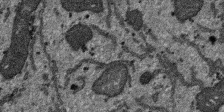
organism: Human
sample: Lung epithelial cells infected with SARS-CoV-2